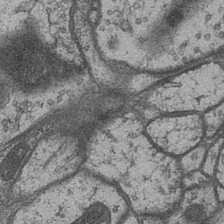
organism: Drosophila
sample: Optic medulla